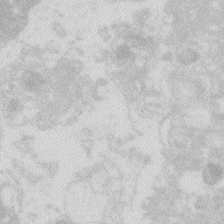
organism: Zebrafish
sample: Macrophage